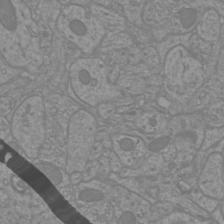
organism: Mouse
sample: Cortical neurons